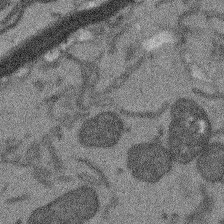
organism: Arabidopsis thaliana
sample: Root tip